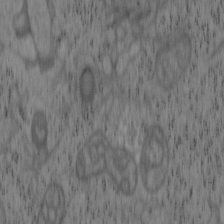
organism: Human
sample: HeLa cells